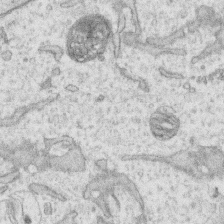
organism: Human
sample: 1205lu cells